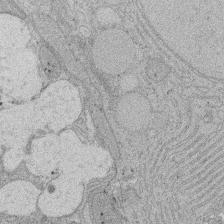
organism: Rat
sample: Salivary granule